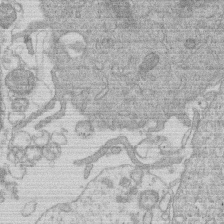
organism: Human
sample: Macrophage cells